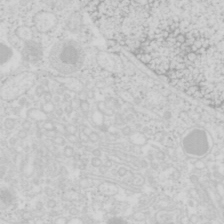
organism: Mouse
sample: Pancreas